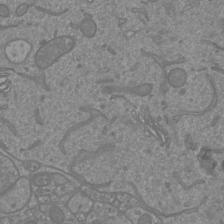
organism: Mouse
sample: Cortical neurons